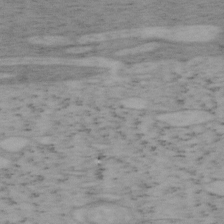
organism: Mouse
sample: OT-I killer T cells with ID8 ovarian cancer cells